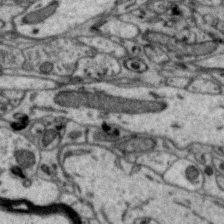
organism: Zebra finch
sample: Brain